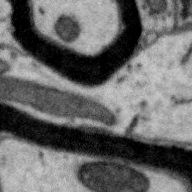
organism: Zebra finch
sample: Brain